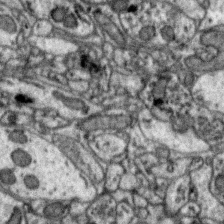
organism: Zebra finch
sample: Brain